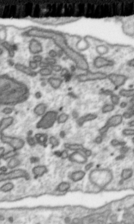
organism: Toxoplasma gondii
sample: Parasites in a vacuole inside a host cell